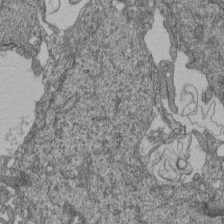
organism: Human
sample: Retinal organoid Rod and Cone cells